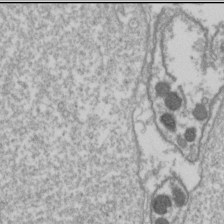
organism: Drosophila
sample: Cell division; meiosis; drosophila spermatocytes